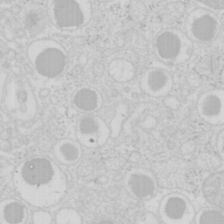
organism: Mouse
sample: Pancreas